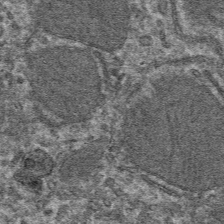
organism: Mouse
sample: Mouse hepatocytes